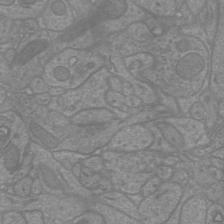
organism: Mouse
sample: Cortical neurons